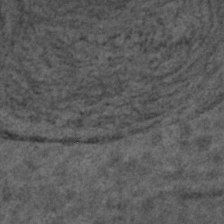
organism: C. elegans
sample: C. elegans embryo